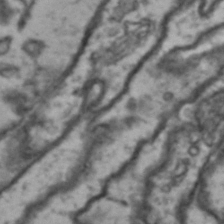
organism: Drosophila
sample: Brain